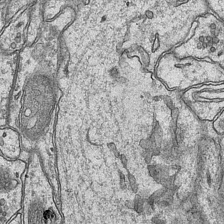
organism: Mouse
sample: CA1 Hippocampus